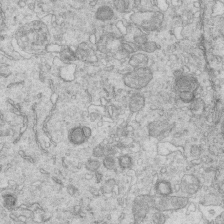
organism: Mouse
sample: Multiciliated cells